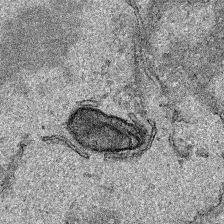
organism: Human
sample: Mitochondria in HCT116 cells